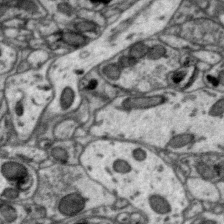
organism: Zebra finch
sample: Brain